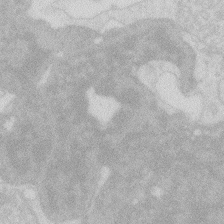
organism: Zebrafish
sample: Macrophage